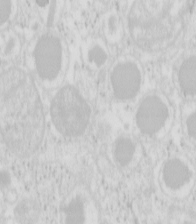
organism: Mouse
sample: Pancreas